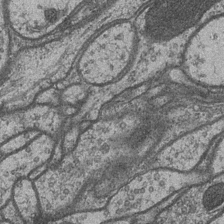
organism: Drosophila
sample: Optic medulla